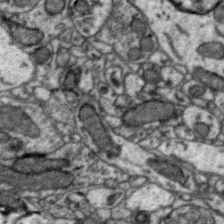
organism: Zebra finch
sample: Brain